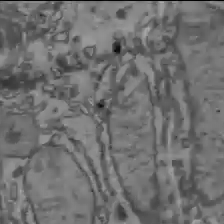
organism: C57BL Mouse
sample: Liver